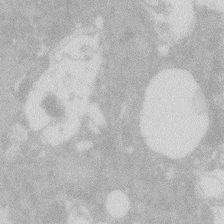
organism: Zebrafish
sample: Macrophage